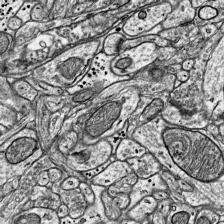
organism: Mouse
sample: Visual Cortex